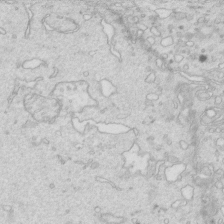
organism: Mouse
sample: Multiciliated cells